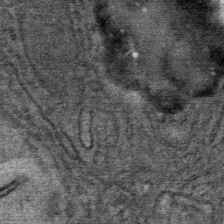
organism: Mouse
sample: Mouse Salivary gland